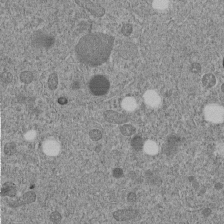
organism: C. elegans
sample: C. elegans embryo early stage